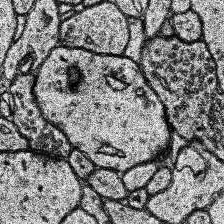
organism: Human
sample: Temporal Lobe